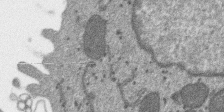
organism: Human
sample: Lung epithelial cells infected with SARS-CoV-2